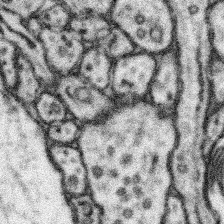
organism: Mouse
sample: Somatosensory cortex neuropil